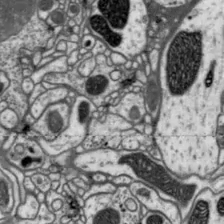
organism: Drosophila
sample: Protocerebral bridge